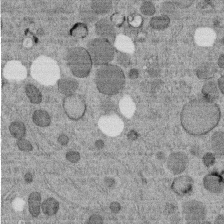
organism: C. elegans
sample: C. elegans embryo early stage